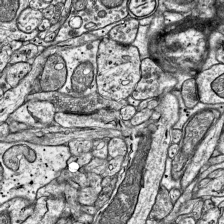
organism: Mouse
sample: Visual Cortex